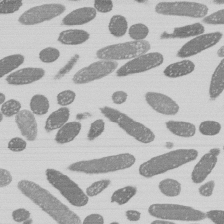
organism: E. coli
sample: Bacterial nucleoid